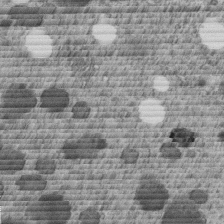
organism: C. elegans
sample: C. elegans embryo early stage